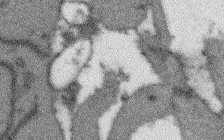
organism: Arabidopsis thaliana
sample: Root tip